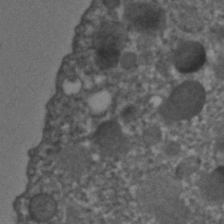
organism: C. elegans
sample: C. elegans embryo